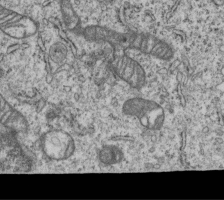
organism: Human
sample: MDA-MB-231 cells